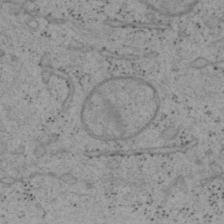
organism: Human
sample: HeLa cells